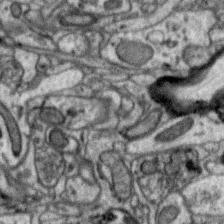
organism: Zebra finch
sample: Brain